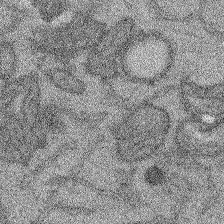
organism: Human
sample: HeLa cells